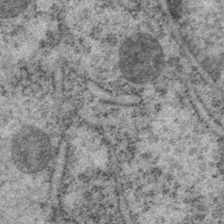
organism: P. pacificus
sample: Pharynx